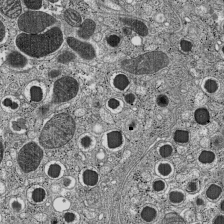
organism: C57BL Mouse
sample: Pancreatic islet